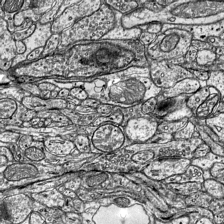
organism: Mouse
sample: Visual Cortex